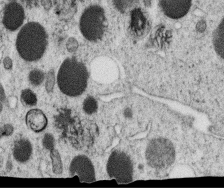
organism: C. elegans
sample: C. elegans oocyte; sperm cells